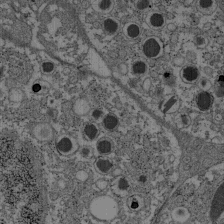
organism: C57BL Mouse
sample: Pancreatic islet